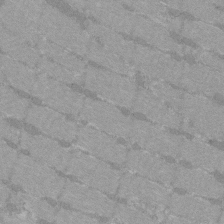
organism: C57BL Mouse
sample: Tibialis anterior muscle cell